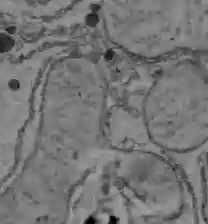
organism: C57BL Mouse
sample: Liver